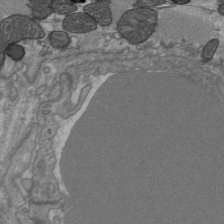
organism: C57BL Mouse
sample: Heart